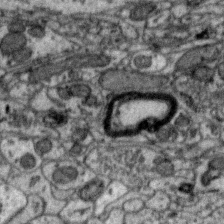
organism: Zebra finch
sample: Brain